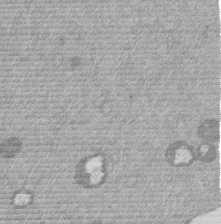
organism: Mouse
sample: Dividing mouse embryo 1 cell stage